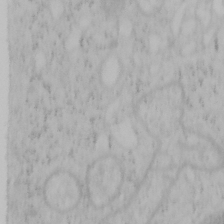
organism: Mouse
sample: OT-I killer T cells with ID8 ovarian cancer cells